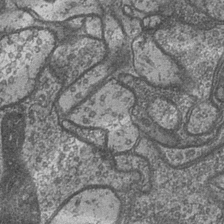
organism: Drosophila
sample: Optic medulla